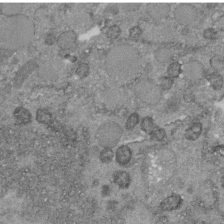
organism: C. elegans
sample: C. elegans embryo early stage